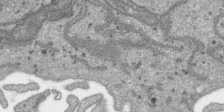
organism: Human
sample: Lung epithelial cells infected with SARS-CoV-2